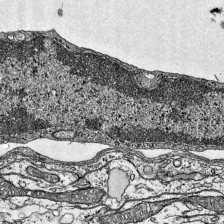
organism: Mouse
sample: Visual Cortex